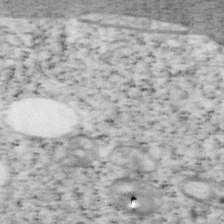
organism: Mouse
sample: OT-I killer T cells with ID8 ovarian cancer cells